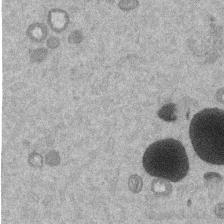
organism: Mouse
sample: Dividing mouse embryo 1 cell stage